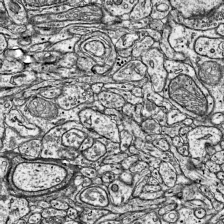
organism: Mouse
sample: Visual Cortex